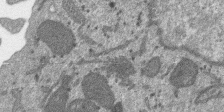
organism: Human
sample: Lung epithelial cells infected with SARS-CoV-2